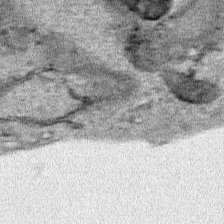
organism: Human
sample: Mitochondria in HCT116 cells